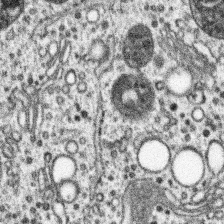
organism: Human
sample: HeLa cells